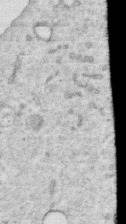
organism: Human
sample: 1205lu cells